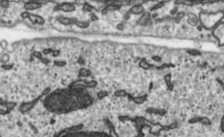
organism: Toxoplasma gondii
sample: Parasites in a vacuole inside a host cell